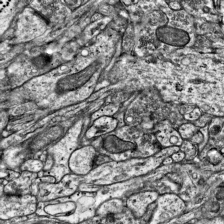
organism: Mouse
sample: Visual Cortex